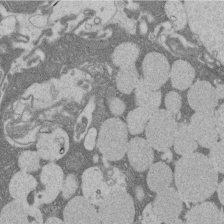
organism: Rat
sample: Salivary granule